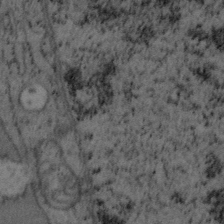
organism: Human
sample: HeLa cells